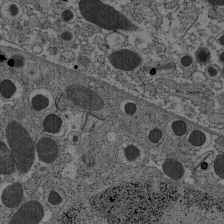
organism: C57BL Mouse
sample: Pancreatic islet